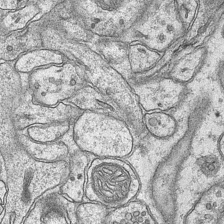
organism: Mouse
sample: CA1 Hippocampus